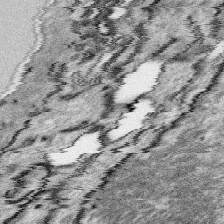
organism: Human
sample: HeLa cells